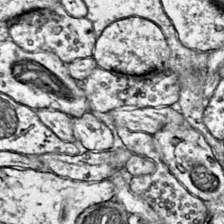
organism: Mouse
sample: Primary visual cortex